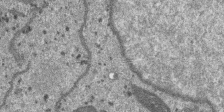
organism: Human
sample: Lung epithelial cells infected with SARS-CoV-2